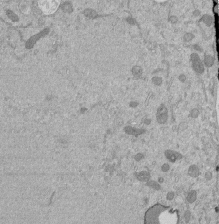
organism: Mouse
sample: ED-1 cell nuclei; centrioles